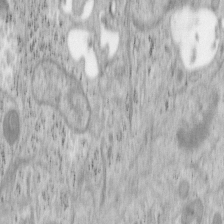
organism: Human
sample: HeLa cells